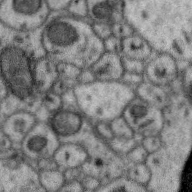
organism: Zebra finch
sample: Brain